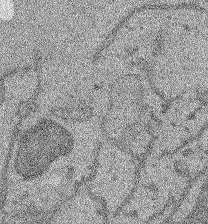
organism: Human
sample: HeLa cells